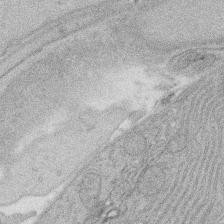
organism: Rat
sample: Salivary granule